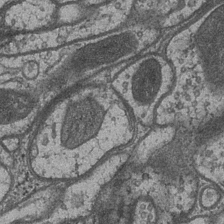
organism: Drosophila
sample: Optic medulla